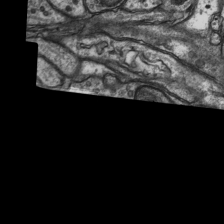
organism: Rat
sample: Hippocampus